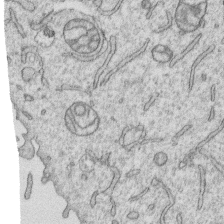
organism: Human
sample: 1205lu cells